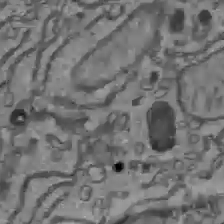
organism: C57BL Mouse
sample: Liver